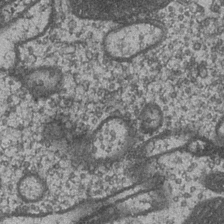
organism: Drosophila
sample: Optic medulla